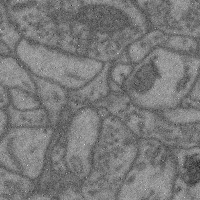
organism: Mouse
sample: Cerebral cortex